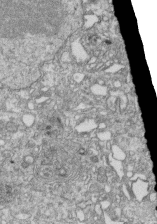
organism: Human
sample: HeLa cell HIV synapse